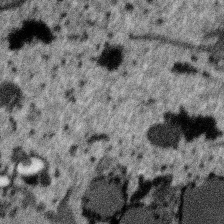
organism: Human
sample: Lung epithelial cells infected with SARS-CoV-2